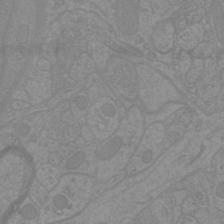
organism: Mouse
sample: Cortical neurons